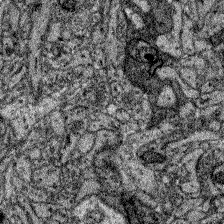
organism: Zebrafish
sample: Larval olfactory bulb